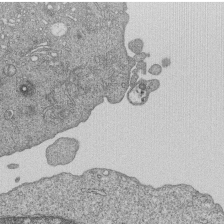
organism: Human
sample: MDA-MB-231 cells